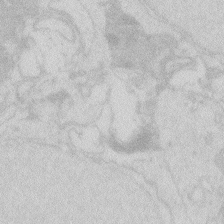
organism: Zebrafish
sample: Macrophage